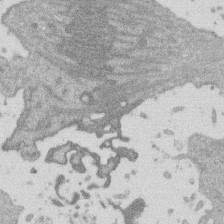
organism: Mouse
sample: Dividing mouse embryo 1 cell stage